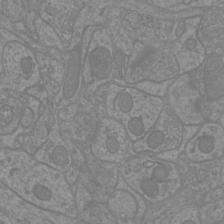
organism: Mouse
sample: Cortical neurons